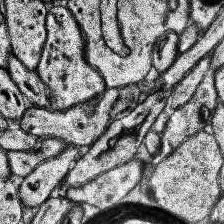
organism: Human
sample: Temporal Lobe